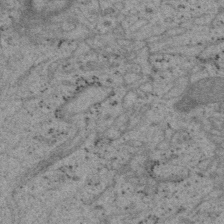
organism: Human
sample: HeLa cells